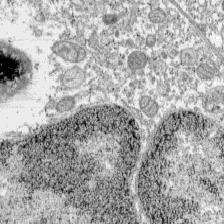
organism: C57BL Mouse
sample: Pancreatic islet